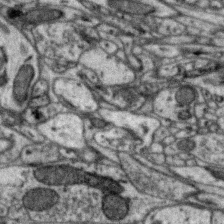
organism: Zebra finch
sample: Brain